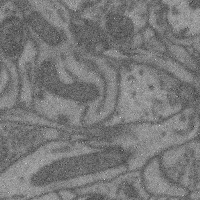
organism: Mouse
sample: Cerebral cortex